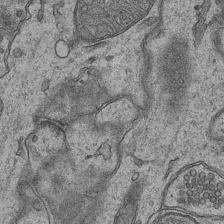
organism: Mouse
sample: CA1 Hippocampus